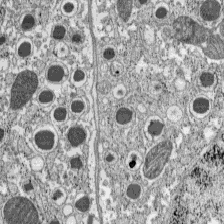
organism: C57BL Mouse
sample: Pancreatic islet